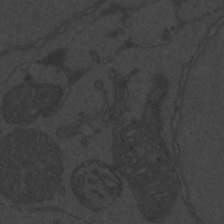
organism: Zebrafish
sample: Macrophage infected with Toxoplasma gondii